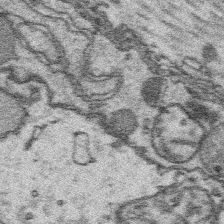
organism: Platynereis dumerilii